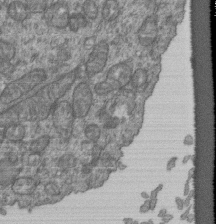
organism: Human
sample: Retinal organoid Rod and Cone cells